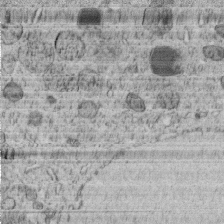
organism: C. elegans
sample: C. elegans embryo early stage